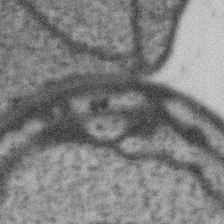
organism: Gemmata obscuriglobus